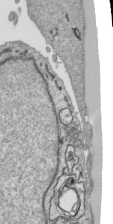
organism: Human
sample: Mitochondria in HCT116 cells